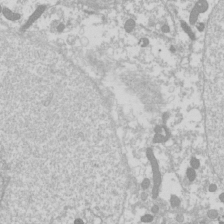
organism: Drosophila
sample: Cell division; meiosis; drosophila spermatocytes